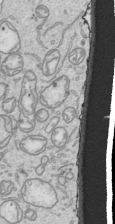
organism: Human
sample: Mitochondria in HCT116 cells